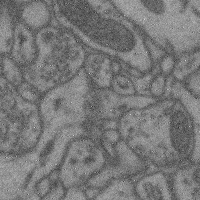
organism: Mouse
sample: Cerebral cortex